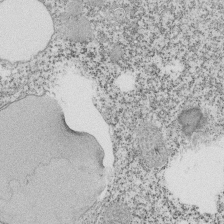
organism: Tetrahymena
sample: Cilia in tetrahymena